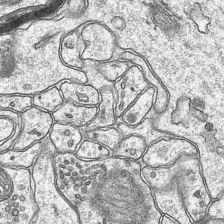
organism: Mouse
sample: CA1 Hippocampus